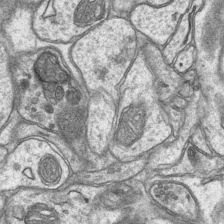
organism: Mouse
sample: CA1 Hippocampus